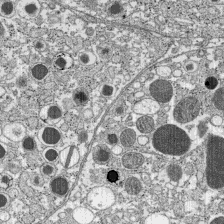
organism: C57BL Mouse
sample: Pancreatic islet